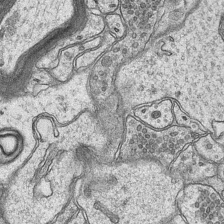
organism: Mouse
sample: CA1 Hippocampus